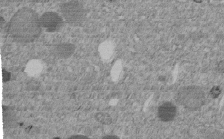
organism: C. elegans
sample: C. elegans embryo early stage